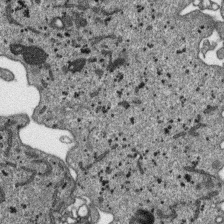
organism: Human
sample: Lung epithelial cells infected with SARS-CoV-2